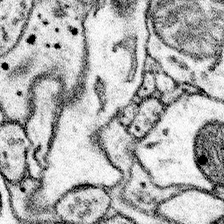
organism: Mouse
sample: Somatosensory cortex neuropil